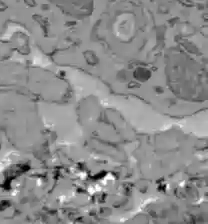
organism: C57BL Mouse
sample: Liver